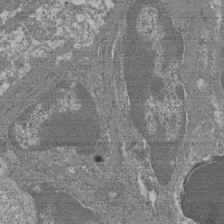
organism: Mouse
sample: Glomerulus